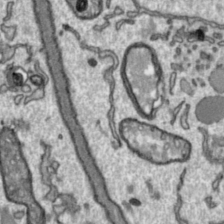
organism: Toxoplasma gondii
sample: Parasites in a vacuole inside a host cell